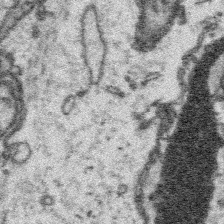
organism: Platynereis dumerilii